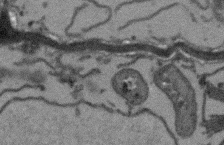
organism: Arabidopsis thaliana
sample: Root tip